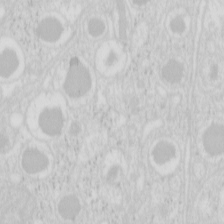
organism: Mouse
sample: Pancreas